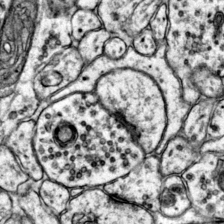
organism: Mouse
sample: Primary visual cortex